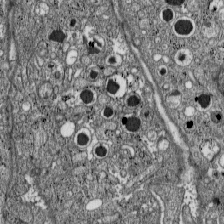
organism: C57BL Mouse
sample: Pancreatic islet